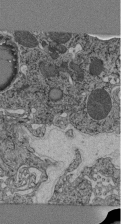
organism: C. elegans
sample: C. elegans pharynx